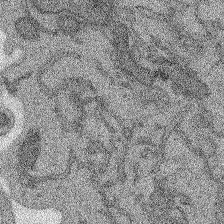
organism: Human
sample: HeLa cells